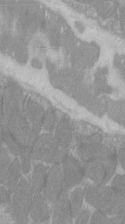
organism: C57BL Mouse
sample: Tibialis anterior muscle cell